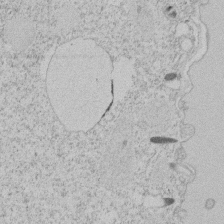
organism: Tetrahymena